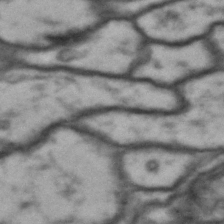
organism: Drosophila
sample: Brain